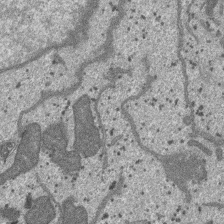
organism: Human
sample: Lung epithelial cells infected with SARS-CoV-2